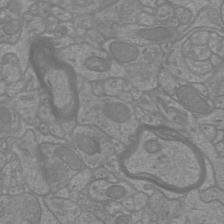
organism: Mouse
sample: Cortical neurons